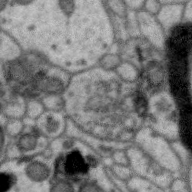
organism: Zebra finch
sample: Brain